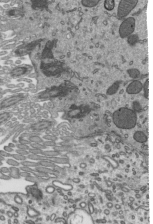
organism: Mouse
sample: Mouse epididymis efferent ductule cilia